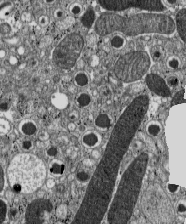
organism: C57BL Mouse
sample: Pancreatic islet